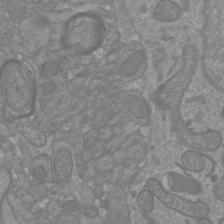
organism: Mouse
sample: Cortical neurons